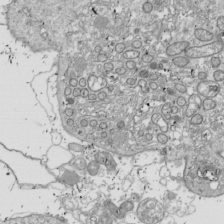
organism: Drosophila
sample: Cell division; meiosis; drosophila spermatocytes